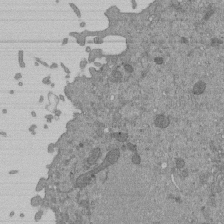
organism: Mouse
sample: ED-1 cell nuclei; centrioles